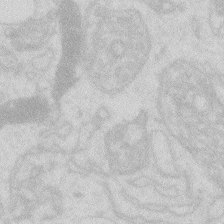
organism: Zebrafish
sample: Macrophage